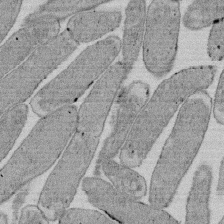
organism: E. coli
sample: Bacterial nucleoid